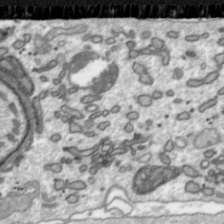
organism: Toxoplasma gondii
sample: Parasites in a vacuole inside a host cell